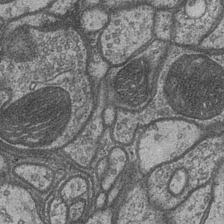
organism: Drosophila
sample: Optic medulla